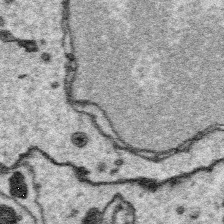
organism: Platynereis dumerilii